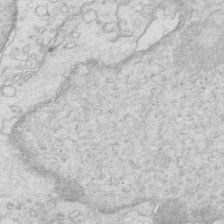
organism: Mouse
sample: Multiciliated cells